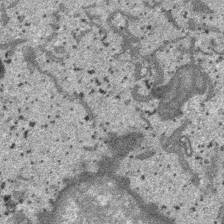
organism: Human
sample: Lung epithelial cells infected with SARS-CoV-2